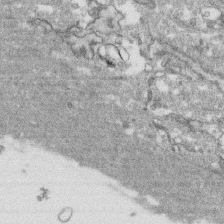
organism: Human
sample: CRL-1474